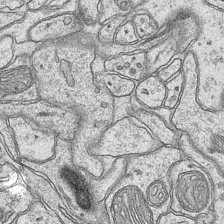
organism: Mouse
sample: CA1 Hippocampus